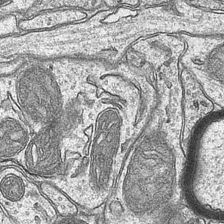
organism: Mouse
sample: CA1 Hippocampus